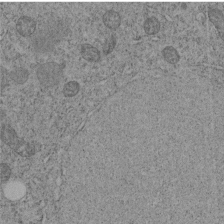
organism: C. elegans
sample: C. elegans embryo early stage